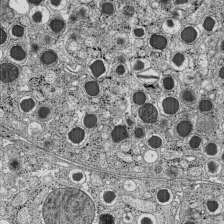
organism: C57BL Mouse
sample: Pancreatic islet